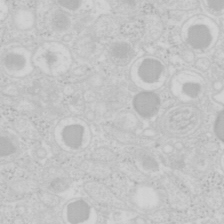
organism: Mouse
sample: Pancreas